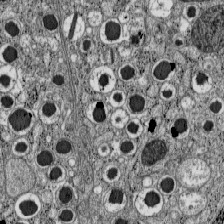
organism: C57BL Mouse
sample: Pancreatic islet